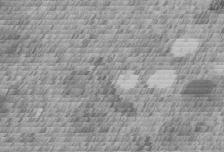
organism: C. elegans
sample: C. elegans embryo early stage